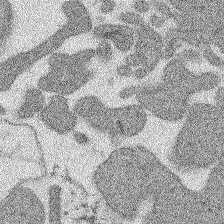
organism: Human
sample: HeLa cells